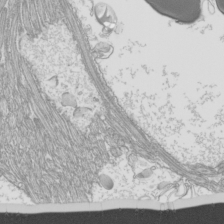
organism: Mouse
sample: Cilia; mouse epididymis